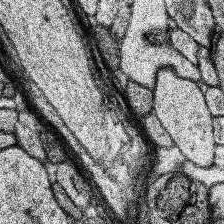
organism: Human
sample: Temporal Lobe